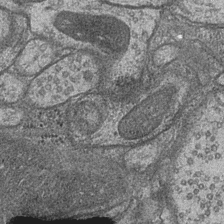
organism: Drosophila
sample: Optic medulla